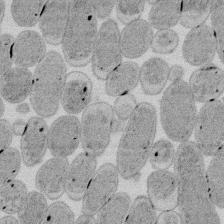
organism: E. coli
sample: Bacterial nucleoid